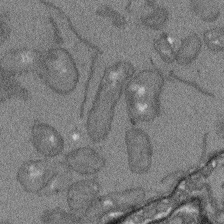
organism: Arabidopsis thaliana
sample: Root tip